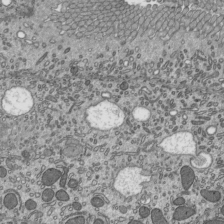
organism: Mouse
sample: Mouse epididymis efferent ductule cilia